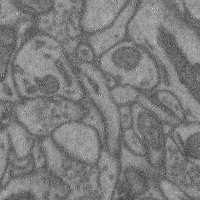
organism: Mouse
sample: Cerebral cortex